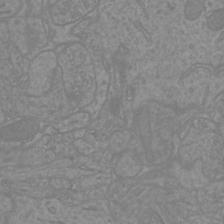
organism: Mouse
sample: Cortical neurons